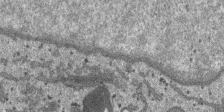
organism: Human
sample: Lung epithelial cells infected with SARS-CoV-2